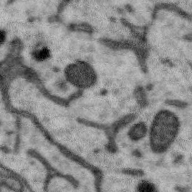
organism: Zebra finch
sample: Brain